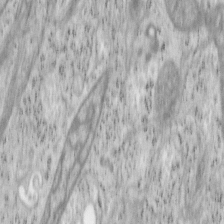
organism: Human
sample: HeLa cells